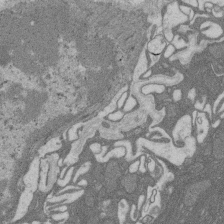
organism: Rat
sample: Salivary granule